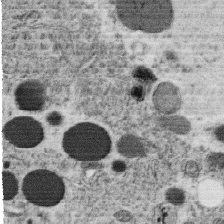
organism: C. elegans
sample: C. elegans oocyte; sperm cells